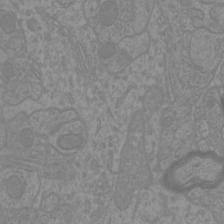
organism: Mouse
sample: Cortical neurons